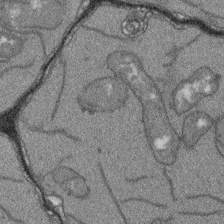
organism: Arabidopsis thaliana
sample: Root tip